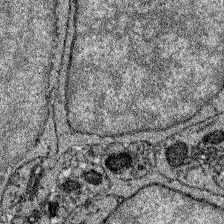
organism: Zebrafish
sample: Larval olfactory bulb